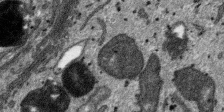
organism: Human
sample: Lung epithelial cells, uninfected (mock) control